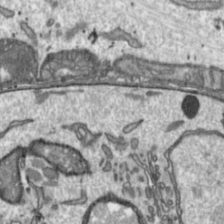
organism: Toxoplasma gondii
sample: Parasites in a vacuole inside a host cell